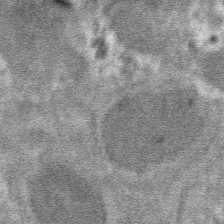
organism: Mouse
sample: Mouse hepatocytes